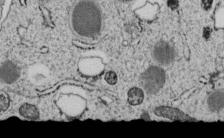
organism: C. elegans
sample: C. elegans embryo early stage